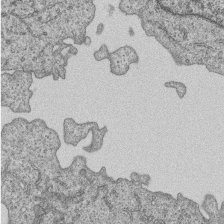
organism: Human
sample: MDA-MB-231 cells